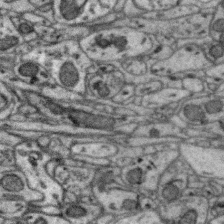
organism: Zebra finch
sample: Brain